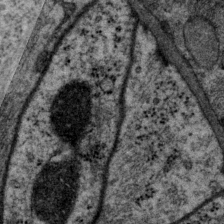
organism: P. pacificus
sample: Pharynx